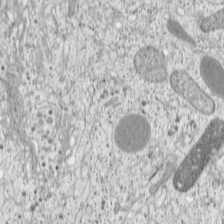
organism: African green monkey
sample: COS-7 cells